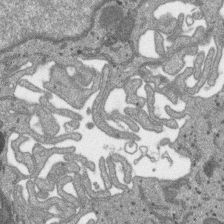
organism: Human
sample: Lung epithelial cells infected with SARS-CoV-2